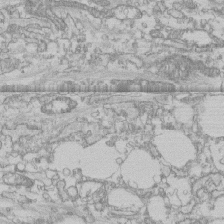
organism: Human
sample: CRL-1474